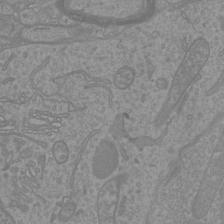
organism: Mouse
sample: Cortical neurons